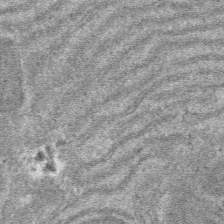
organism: Mouse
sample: Mouse hepatocytes